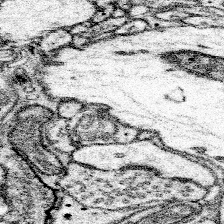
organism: Mouse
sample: Somatosensory cortex neuropil